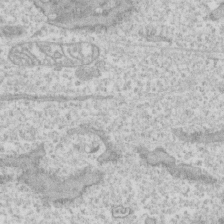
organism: Human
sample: CRL-1474